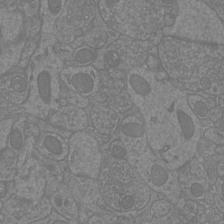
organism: Mouse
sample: Cortical neurons